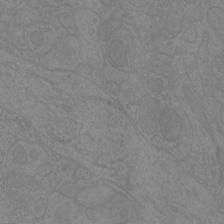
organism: Mouse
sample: Cortical neurons